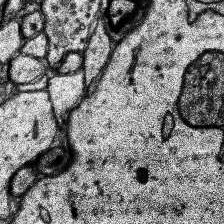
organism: Human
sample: Temporal Lobe